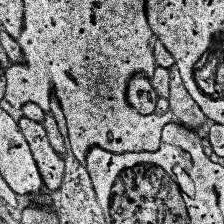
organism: Human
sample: Temporal Lobe